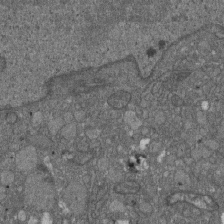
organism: Drosophila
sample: Nephrocyte